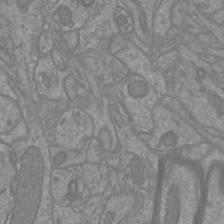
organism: Mouse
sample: Cortical neurons